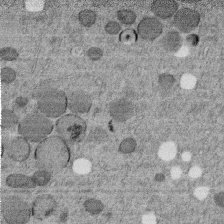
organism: C. elegans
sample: C. elegans embryo early stage